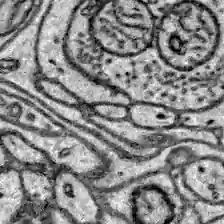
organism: Zebrafish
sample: Brain